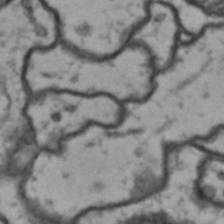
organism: Drosophila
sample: Brain